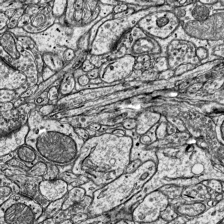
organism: Mouse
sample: Visual Cortex